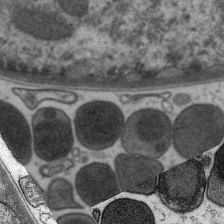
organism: C. elegans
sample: Pharynx